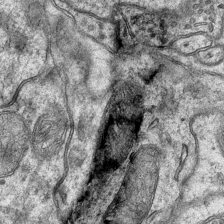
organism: Mouse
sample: CA1 Hippocampus